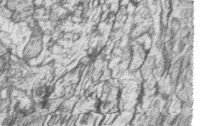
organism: Zebrafish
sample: synaptic ribbons in rod cells and cone cells